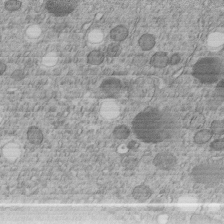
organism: C. elegans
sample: C. elegans embryo early stage